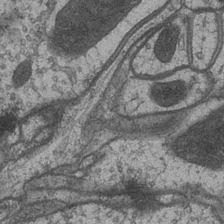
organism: Drosophila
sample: Optic medulla